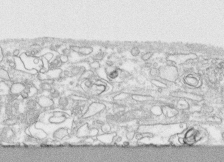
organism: Human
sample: CRL-1474